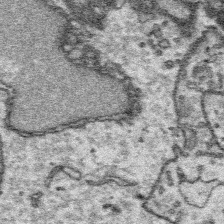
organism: Platynereis dumerilii